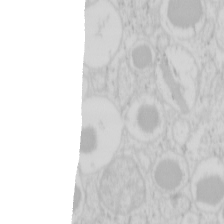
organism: Mouse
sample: Pancreas